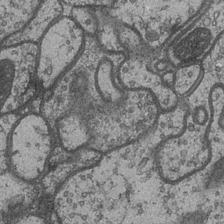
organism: Drosophila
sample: Optic medulla